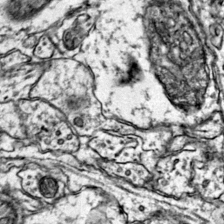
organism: Mouse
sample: Primary visual cortex